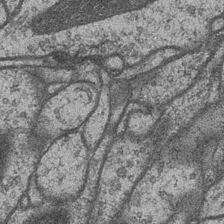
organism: Drosophila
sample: Optic medulla